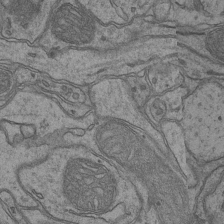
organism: Mouse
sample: CA1 Hippocampus